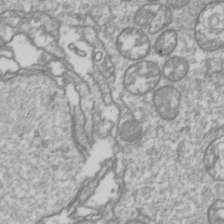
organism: Drosophila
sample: Cell division; meiosis; drosophila spermatocytes